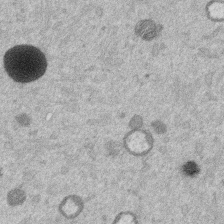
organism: Mouse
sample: Dividing mouse embryo 1 cell stage